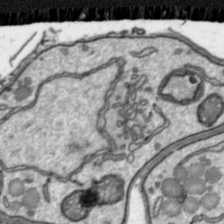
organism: Toxoplasma gondii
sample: Parasites in a vacuole inside a host cell